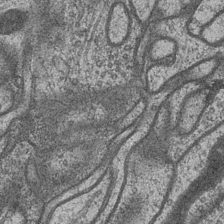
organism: Drosophila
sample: Optic medulla